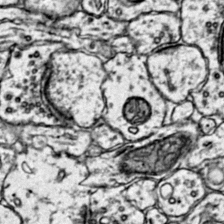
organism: Mouse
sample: Primary visual cortex